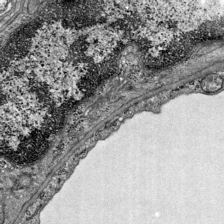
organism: Mouse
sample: Visual Cortex